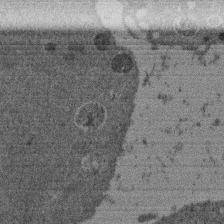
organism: Mouse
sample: Dividing mouse embryo 1 cell stage